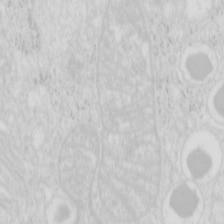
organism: Mouse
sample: Pancreas